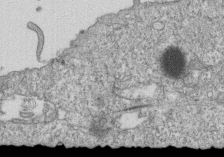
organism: Human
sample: HeLa cell HIV synapse